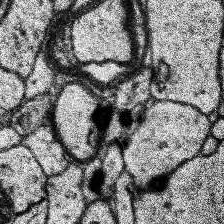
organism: Human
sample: Temporal Lobe